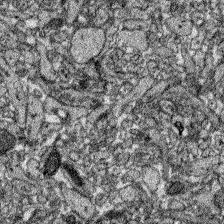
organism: Zebrafish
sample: Larval olfactory bulb